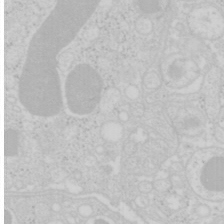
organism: Mouse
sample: Pancreas